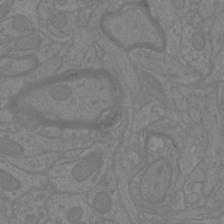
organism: Mouse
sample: Cortical neurons